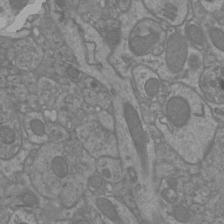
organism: Mouse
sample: Cortical neurons